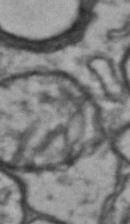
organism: Drosophila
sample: Brain